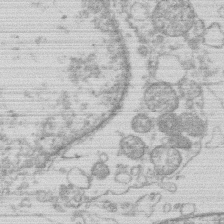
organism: Human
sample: Macrophage cells